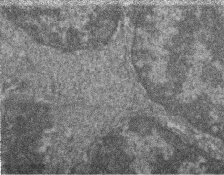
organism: Zebrafish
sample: Cilia; retinal pigment epithelium